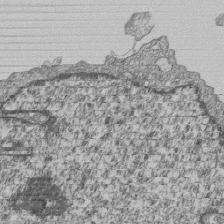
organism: Human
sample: MDA-MB-231 cells